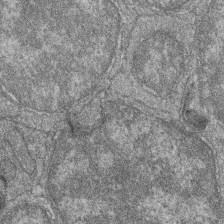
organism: Zebrafish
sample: Cilia; retinal pigment epithelium